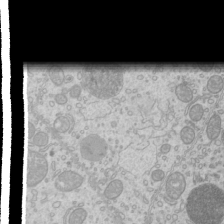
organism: Mouse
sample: Cilia; mouse epididymis